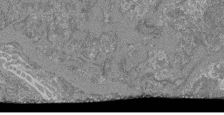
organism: Mouse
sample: Glomerulus